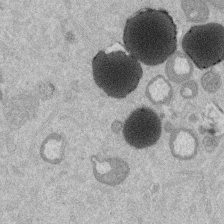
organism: Mouse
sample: Dividing mouse embryo 1 cell stage